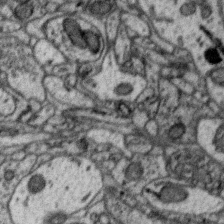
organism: Zebra finch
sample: Brain